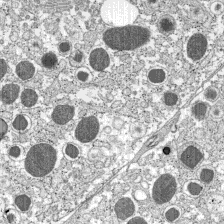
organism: C57BL Mouse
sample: Pancreatic islet